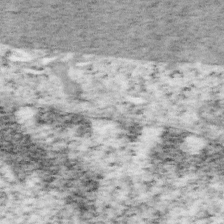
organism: Mouse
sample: OT-I killer T cells with ID8 ovarian cancer cells